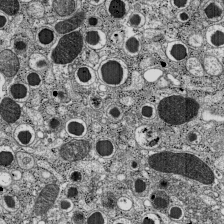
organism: C57BL Mouse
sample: Pancreatic islet